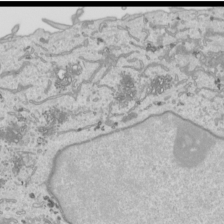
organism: Human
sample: Mitochondria in HCT116 cells